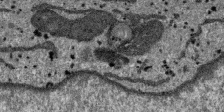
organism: Human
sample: Lung epithelial cells, uninfected (mock) control